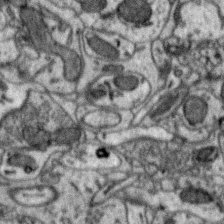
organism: Zebra finch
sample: Brain